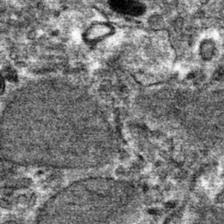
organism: Mouse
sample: Mouse hepatocytes